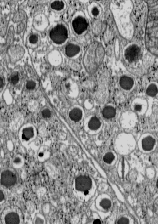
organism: C57BL Mouse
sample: Pancreatic islet